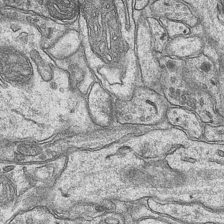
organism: Mouse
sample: CA1 Hippocampus